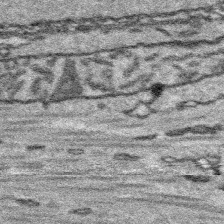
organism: Platynereis dumerilii